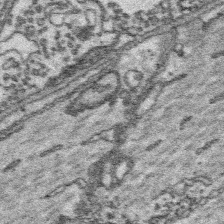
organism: Platynereis dumerilii